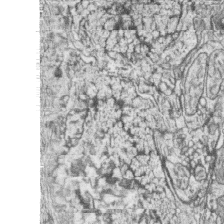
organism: Zebrafish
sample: synaptic ribbons in rod cells and cone cells